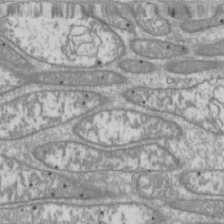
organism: Drosophila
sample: Cell division; meiosis; drosophila spermatocytes